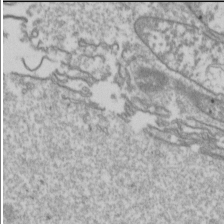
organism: Drosophila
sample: Cell division; meiosis; drosophila spermatocytes